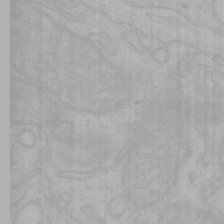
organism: Mouse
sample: Choroid plexus